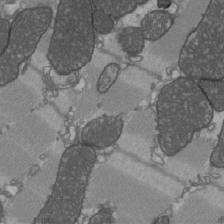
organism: C57BL Mouse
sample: Heart